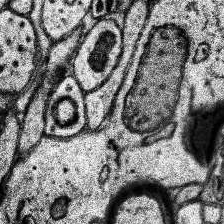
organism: Human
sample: Temporal Lobe